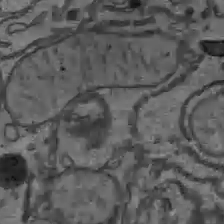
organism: C57BL Mouse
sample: Liver